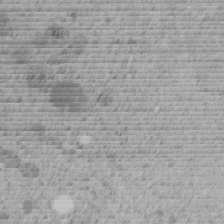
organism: C. elegans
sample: C. elegans embryo early stage